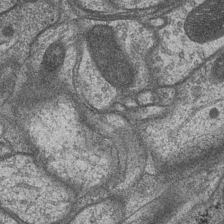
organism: Drosophila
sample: Optic medulla